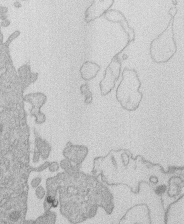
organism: Human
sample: Macrophage cells